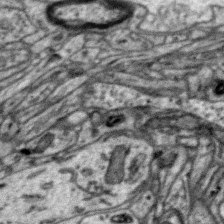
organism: Zebra finch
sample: Brain